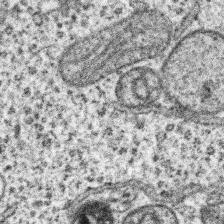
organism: Human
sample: HeLa cells